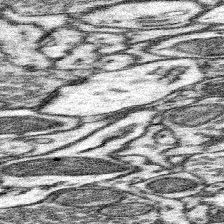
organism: Mouse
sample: Somatosensory cortex neuropil